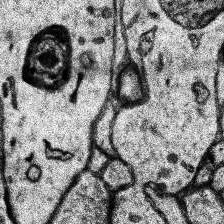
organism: Human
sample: Temporal Lobe